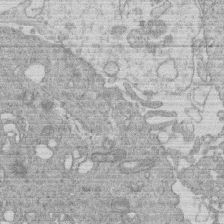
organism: Human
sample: Macrophage cells